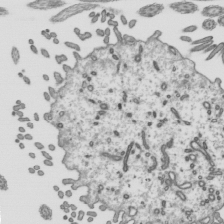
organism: Mouse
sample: Mouse epididymis efferent ductule cilia